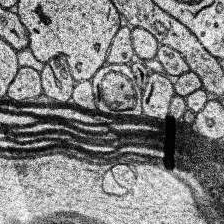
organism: Human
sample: Temporal Lobe